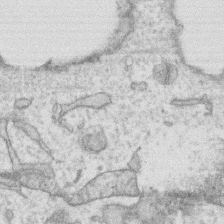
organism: Human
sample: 1205lu cells